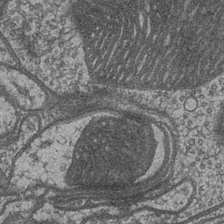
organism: Drosophila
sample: Optic medulla